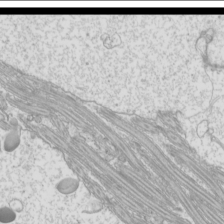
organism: Mouse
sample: Cilia; mouse epididymis